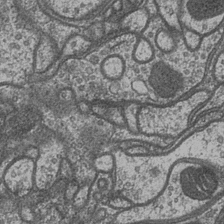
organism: Drosophila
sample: Optic medulla